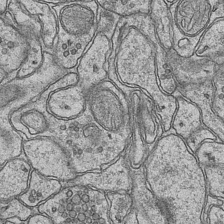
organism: Mouse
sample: CA1 Hippocampus